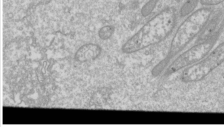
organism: Drosophila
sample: Cell division; meiosis; drosophila spermatocytes